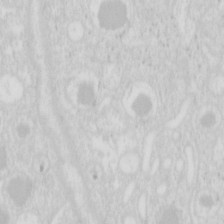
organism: Mouse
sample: Pancreas